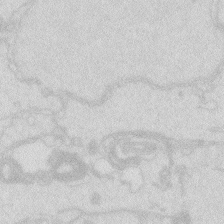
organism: Zebrafish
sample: Macrophage